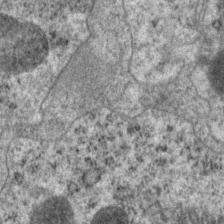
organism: P. pacificus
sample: Pharynx